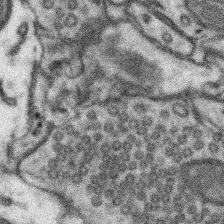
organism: Mouse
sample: Somatosensory cortex neuropil